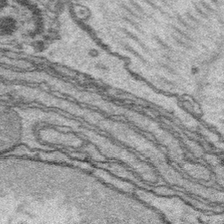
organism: Platynereis dumerilii